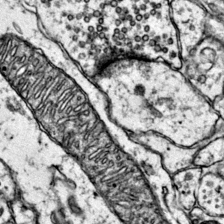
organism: Mouse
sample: Primary visual cortex